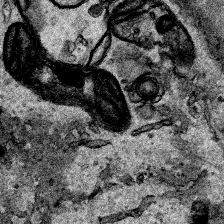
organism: Human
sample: Mitochondria in HCT116 cells